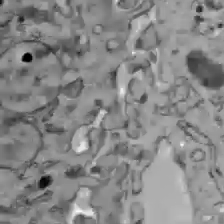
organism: C57BL Mouse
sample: Liver